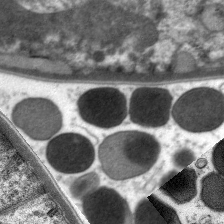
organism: C. elegans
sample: Pharynx